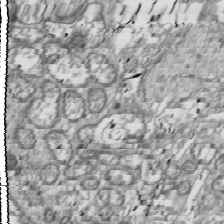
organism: Drosophila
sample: Cell division; meiosis; drosophila spermatocytes